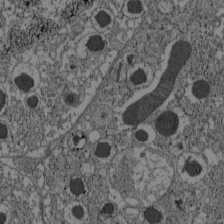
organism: C57BL Mouse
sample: Pancreatic islet